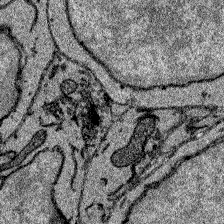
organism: Zebrafish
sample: Larval olfactory bulb